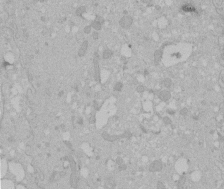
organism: Human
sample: Melanocyte Keratinocyte synapse skin construct